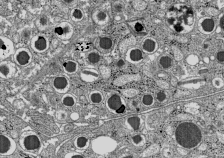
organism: C57BL Mouse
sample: Pancreatic islet